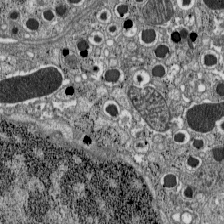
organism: C57BL Mouse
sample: Pancreatic islet